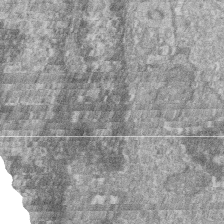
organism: Zebrafish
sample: Cilia; retinal pigment epithelium